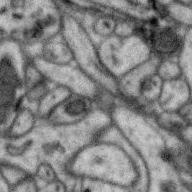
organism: Zebra finch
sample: Brain